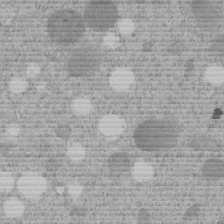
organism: C. elegans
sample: C. elegans embryo early stage